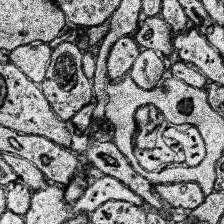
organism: Human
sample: Temporal Lobe